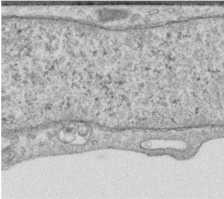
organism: Human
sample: Centriole in RPE cells